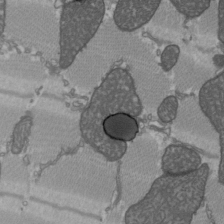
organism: C57BL Mouse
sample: Heart